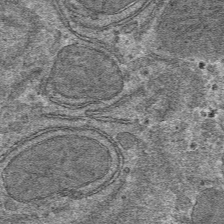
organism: Mouse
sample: Mouse hepatocytes